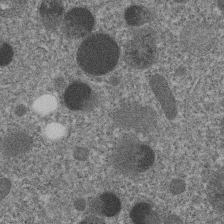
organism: C. elegans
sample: C. elegans embryo early stage